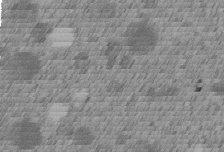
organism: C. elegans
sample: C. elegans embryo early stage